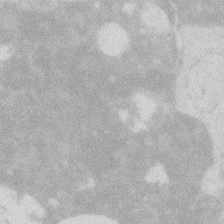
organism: Zebrafish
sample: Macrophage